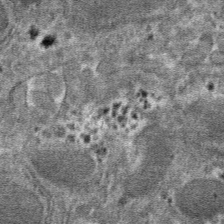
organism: Mouse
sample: Mouse hepatocytes